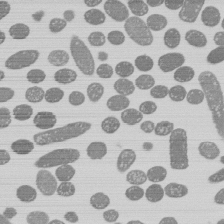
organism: E. coli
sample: Bacterial nucleoid